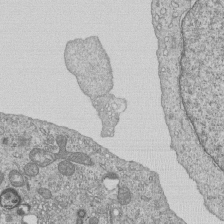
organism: Human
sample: MDA-MB-231 cells